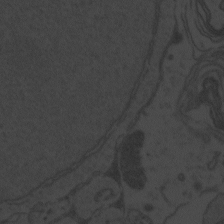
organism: Zebrafish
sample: Macrophage infected with Toxoplasma gondii